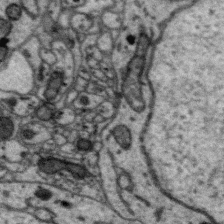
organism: Zebra finch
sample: Brain